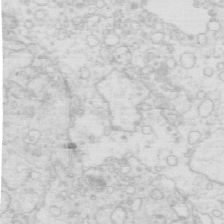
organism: Mouse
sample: Multiciliated cells